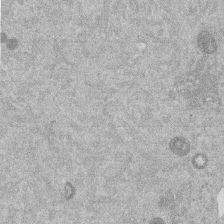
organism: Mouse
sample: Dividing mouse embryo 1 cell stage